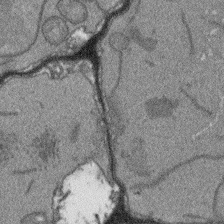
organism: Arabidopsis thaliana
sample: Root tip